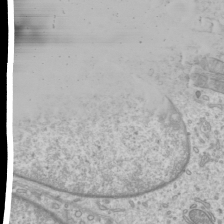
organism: Mouse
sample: Cilia; mouse epididymis